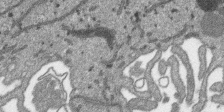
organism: Human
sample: Lung epithelial cells infected with SARS-CoV-2